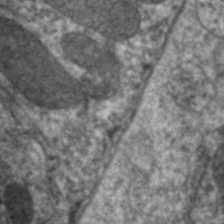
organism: C. elegans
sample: Pharynx